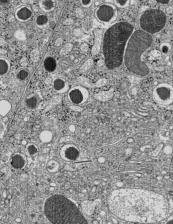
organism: C57BL Mouse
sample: Pancreatic islet